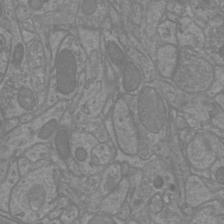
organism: Mouse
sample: Cortical neurons